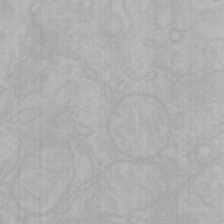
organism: Mouse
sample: Choroid plexus